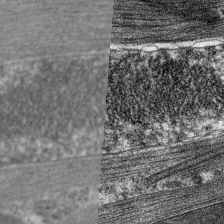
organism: C. elegans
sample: Pharynx